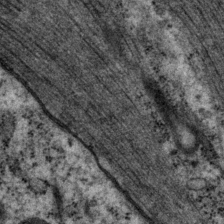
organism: P. pacificus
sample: Pharynx